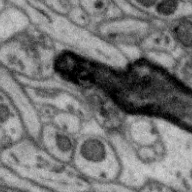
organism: Zebra finch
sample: Brain